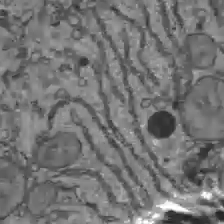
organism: C57BL Mouse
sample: Liver